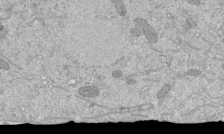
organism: Mouse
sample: ED-1 cell nuclei; centrioles